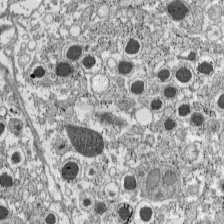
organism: C57BL Mouse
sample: Pancreatic islet